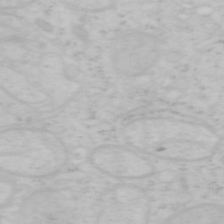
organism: Mouse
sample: OT-I killer T cells with ID8 ovarian cancer cells